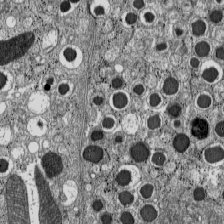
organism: C57BL Mouse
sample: Pancreatic islet